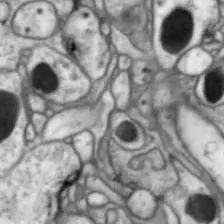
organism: Drosophila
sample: Optic lobe